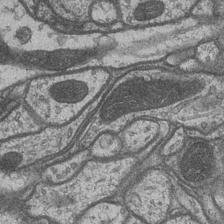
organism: Drosophila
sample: Optic medulla